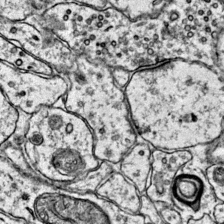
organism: Mouse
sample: Primary visual cortex